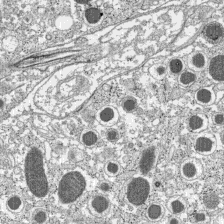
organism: C57BL Mouse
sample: Pancreatic islet